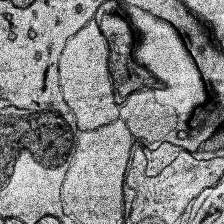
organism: Human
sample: Temporal Lobe